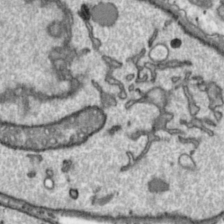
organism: Toxoplasma gondii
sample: Parasites in a vacuole inside a host cell